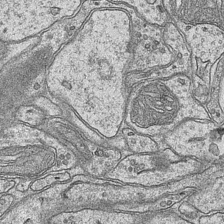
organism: Mouse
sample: CA1 Hippocampus